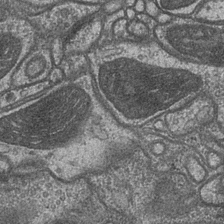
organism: Drosophila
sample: Optic medulla